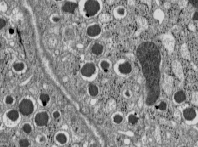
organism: C57BL Mouse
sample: Pancreatic islet